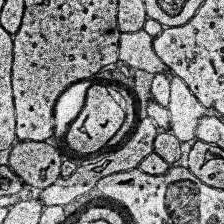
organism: Human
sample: Temporal Lobe